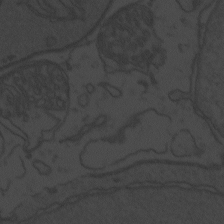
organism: Zebrafish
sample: Macrophage infected with Toxoplasma gondii